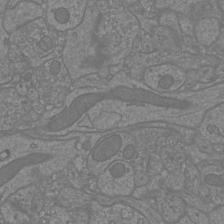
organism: Mouse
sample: Cortical neurons